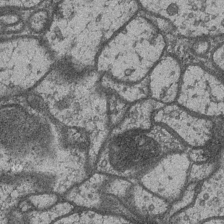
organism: Drosophila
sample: Optic medulla